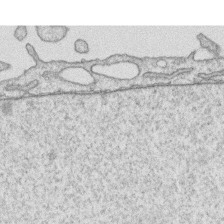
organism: Human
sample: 1205lu cells